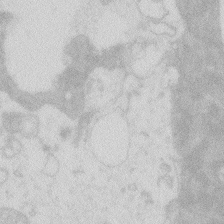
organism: Zebrafish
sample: Macrophage